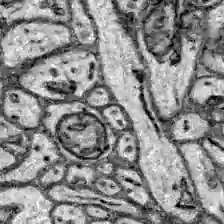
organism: Zebrafish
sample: Brain